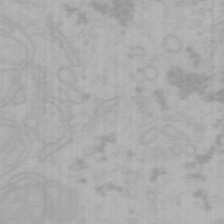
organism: Mouse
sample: Choroid plexus